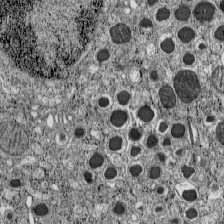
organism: C57BL Mouse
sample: Pancreatic islet